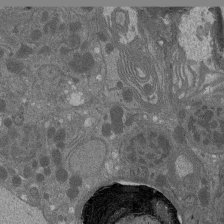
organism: Drosophila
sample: Antenna